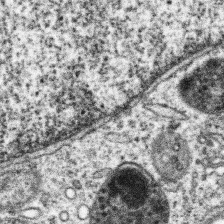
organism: Human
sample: HeLa cells